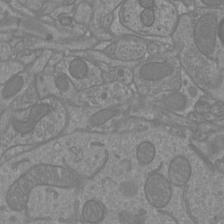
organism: Mouse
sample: Cortical neurons